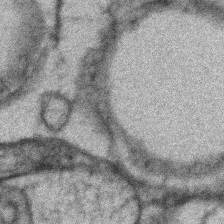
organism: Zebrafish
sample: Zebrafish embryo